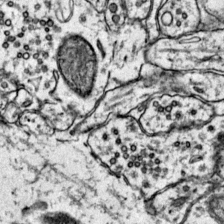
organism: Mouse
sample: Primary visual cortex